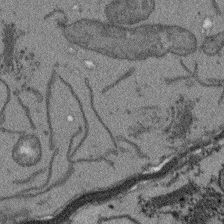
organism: Arabidopsis thaliana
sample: Root tip